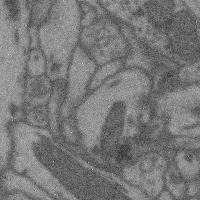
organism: Mouse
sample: Cerebral cortex